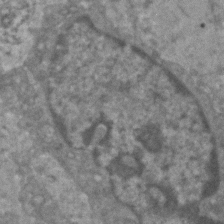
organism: Human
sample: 1205lu cells